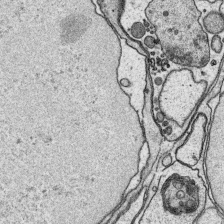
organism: Platynereis dumerilii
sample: Parapodia